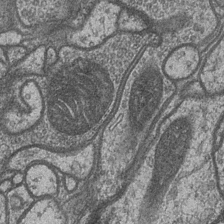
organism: Drosophila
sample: Optic medulla